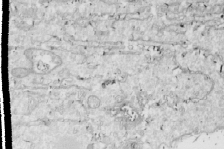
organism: Drosophila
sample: Cell division; meiosis; drosophila spermatocytes